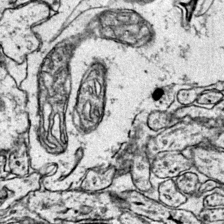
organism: Mouse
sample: Primary visual cortex